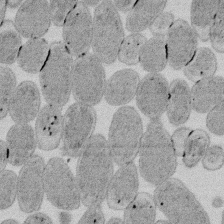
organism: E. coli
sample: Bacterial nucleoid